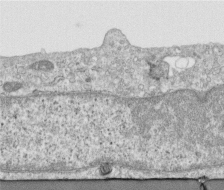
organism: Human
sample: Centriole in RPE cells